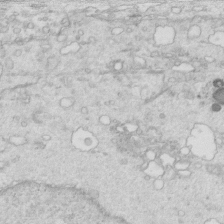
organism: Mouse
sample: Multiciliated cells